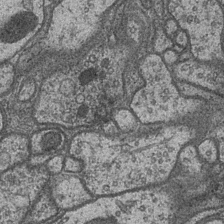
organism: Drosophila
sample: Optic medulla